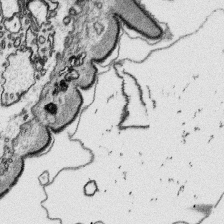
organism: Platynereis dumerilii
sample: Parapodia